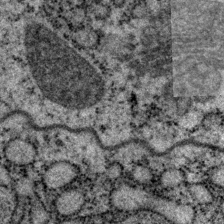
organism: P. pacificus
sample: Pharynx